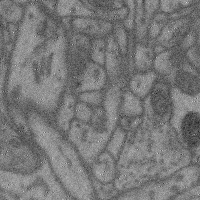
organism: Mouse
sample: Cerebral cortex